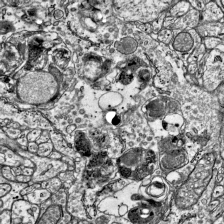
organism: Mouse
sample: Visual Cortex